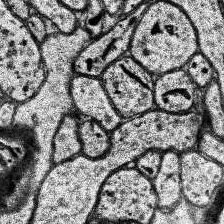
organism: Human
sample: Temporal Lobe